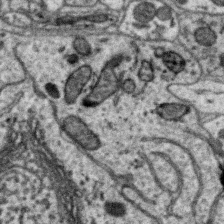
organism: Zebra finch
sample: Brain